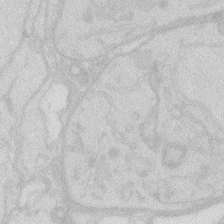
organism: Zebrafish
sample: Macrophage